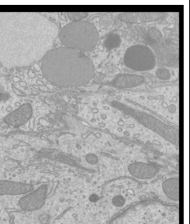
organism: Mouse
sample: Cilia; mouse epididymis